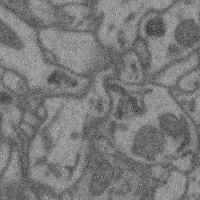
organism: Mouse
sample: Cerebral cortex